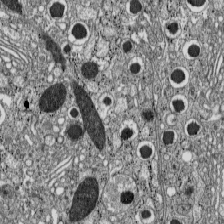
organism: C57BL Mouse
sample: Pancreatic islet